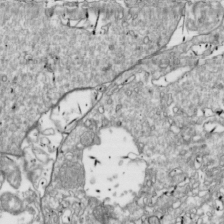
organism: Drosophila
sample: Cell division; meiosis; drosophila spermatocytes